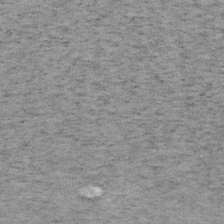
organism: Mouse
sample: OT-I killer T cells with ID8 ovarian cancer cells